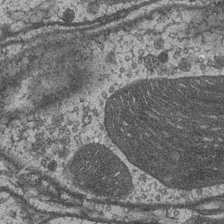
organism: Drosophila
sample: Optic medulla